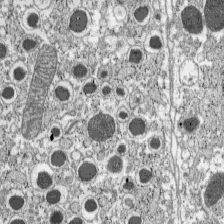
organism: C57BL Mouse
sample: Pancreatic islet